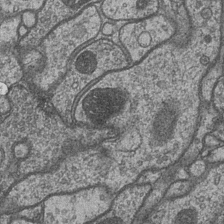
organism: Drosophila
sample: Optic medulla